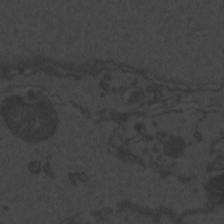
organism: Zebrafish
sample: Macrophage infected with Toxoplasma gondii